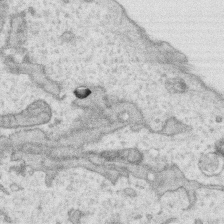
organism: Human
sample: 1205lu cells